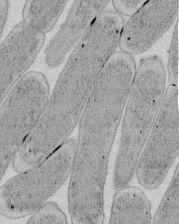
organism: E. coli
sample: Bacterial nucleoid